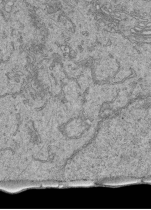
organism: Human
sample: Retinal organoid Rod and Cone cells